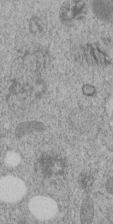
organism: C. elegans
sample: C. elegans embryo early stage